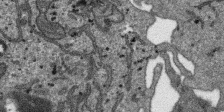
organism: Human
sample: Lung epithelial cells infected with SARS-CoV-2